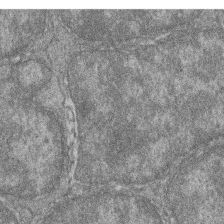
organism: Zebrafish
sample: Cilia; retinal pigment epithelium